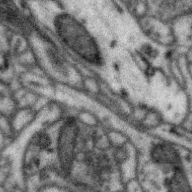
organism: Zebra finch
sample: Brain